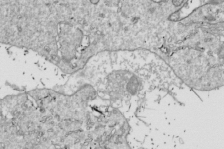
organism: Drosophila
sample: Cell division; meiosis; drosophila spermatocytes